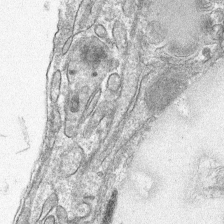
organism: Mouse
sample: Mouse hepatocytes